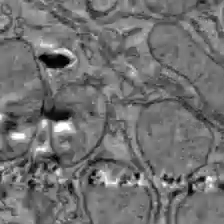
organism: C57BL Mouse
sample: Liver